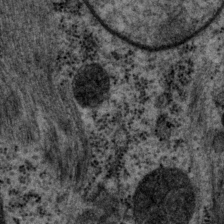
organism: P. pacificus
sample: Pharynx